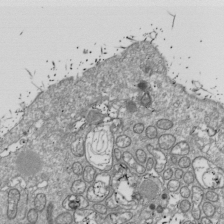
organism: Drosophila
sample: Cell division; meiosis; drosophila spermatocytes